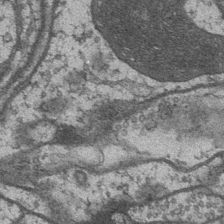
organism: Drosophila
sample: Optic medulla